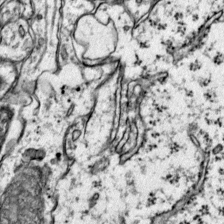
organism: Mouse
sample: Primary visual cortex